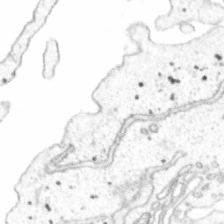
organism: Human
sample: HeLa cells